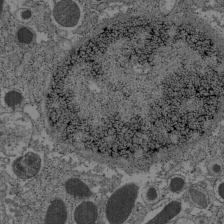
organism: C57BL Mouse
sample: Pancreatic islet